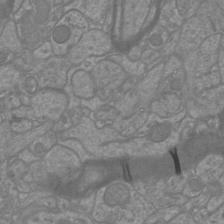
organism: Mouse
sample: Cortical neurons